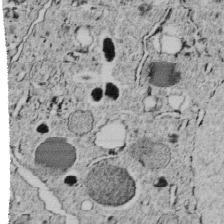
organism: C. elegans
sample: C. elegans embryo early stage